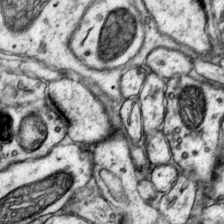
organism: Mouse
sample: Primary visual cortex